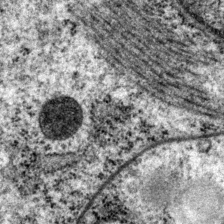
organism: P. pacificus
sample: Pharynx